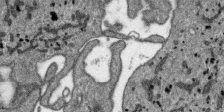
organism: Human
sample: Lung epithelial cells, uninfected (mock) control